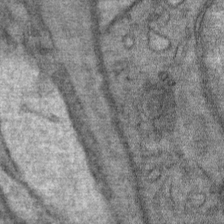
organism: Mouse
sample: Mouse Salivary gland